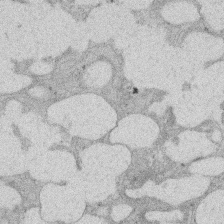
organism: Rat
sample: Salivary granule